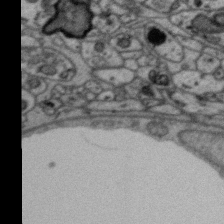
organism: Zebra finch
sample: Brain